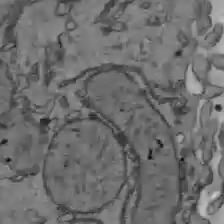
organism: C57BL Mouse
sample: Liver